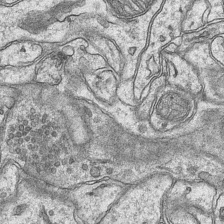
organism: Mouse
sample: CA1 Hippocampus